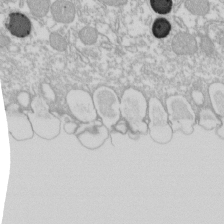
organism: Xenopus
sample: Cilia; centrioles in frog embryo cells